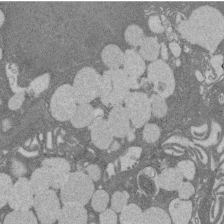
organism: Rat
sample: Salivary granule